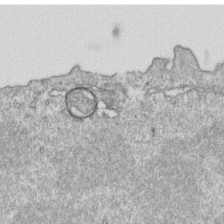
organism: Mouse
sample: Activated OT-1 CD8+ T cells